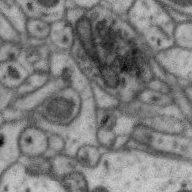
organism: Zebra finch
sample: Brain